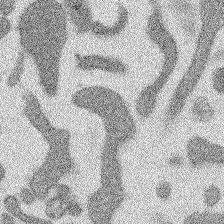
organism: Human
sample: HeLa cells